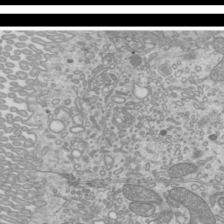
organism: Mouse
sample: Cilia; mouse epididymis